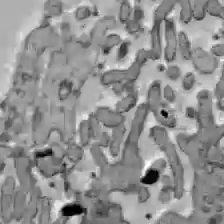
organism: C57BL Mouse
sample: Liver